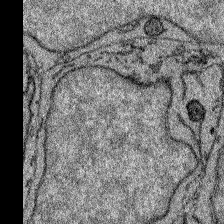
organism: Zebrafish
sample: Larval olfactory bulb